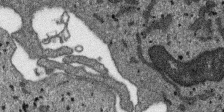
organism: Human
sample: Lung epithelial cells infected with SARS-CoV-2